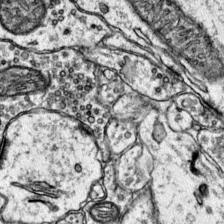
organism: Mouse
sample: Primary visual cortex